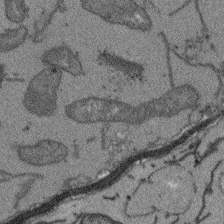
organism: Arabidopsis thaliana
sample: Root tip